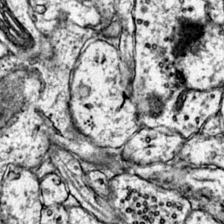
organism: Mouse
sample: Primary visual cortex